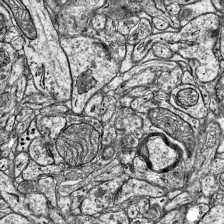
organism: Mouse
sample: Visual Cortex